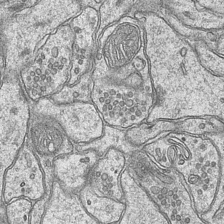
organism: Mouse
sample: CA1 Hippocampus